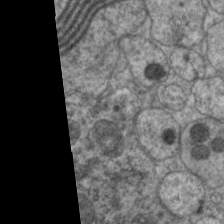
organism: C. elegans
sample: Pharynx